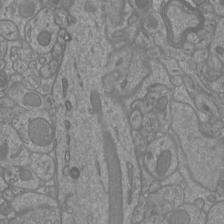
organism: Mouse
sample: Cortical neurons